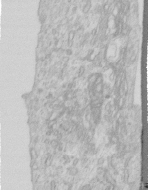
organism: Human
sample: Centriole in RPE cells